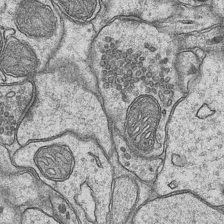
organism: Mouse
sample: CA1 Hippocampus